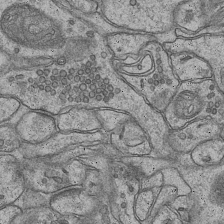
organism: Mouse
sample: CA1 Hippocampus